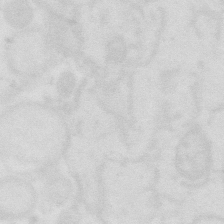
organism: Human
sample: HeLa cells